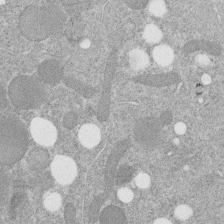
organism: C. elegans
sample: C. elegans embryo early stage